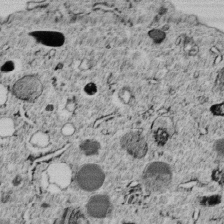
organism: C. elegans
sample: C. elegans embryo early stage